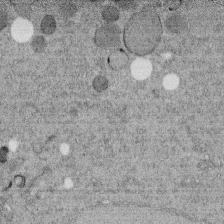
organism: C. elegans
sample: C. elegans embryo early stage